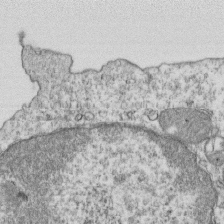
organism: Mouse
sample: Activated OT-1 CD8+ T cells